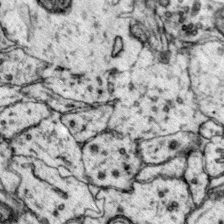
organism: Mouse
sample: Primary visual cortex